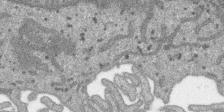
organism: Human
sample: Lung epithelial cells infected with SARS-CoV-2